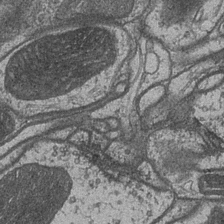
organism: Drosophila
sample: Optic medulla